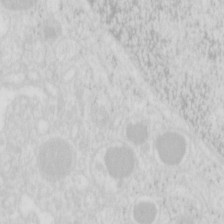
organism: Mouse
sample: Pancreas